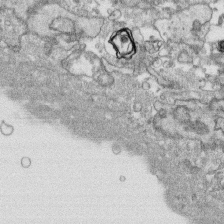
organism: Human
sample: CRL-1474